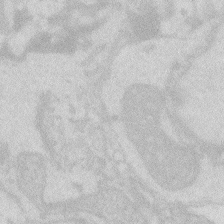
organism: Zebrafish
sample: Macrophage